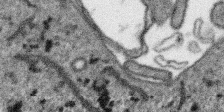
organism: Human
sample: Lung epithelial cells infected with SARS-CoV-2